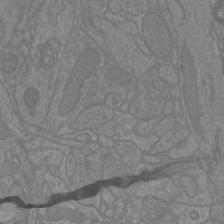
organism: Mouse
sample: Cortical neurons